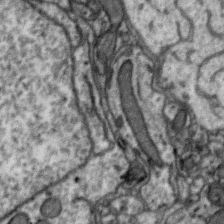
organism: Zebra finch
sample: Brain